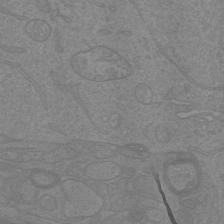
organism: Mouse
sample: Cortical neurons